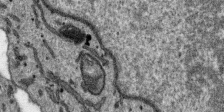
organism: Human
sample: Lung epithelial cells, uninfected (mock) control